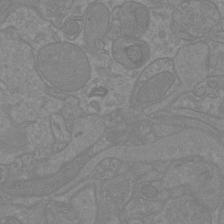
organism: Mouse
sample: Cortical neurons